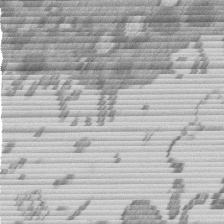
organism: Mouse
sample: Dividing mouse embryo 1 cell stage